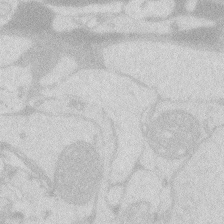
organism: Zebrafish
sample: Macrophage